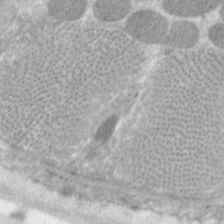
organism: C. elegans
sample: Pharynx